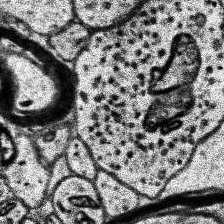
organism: Human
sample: Temporal Lobe